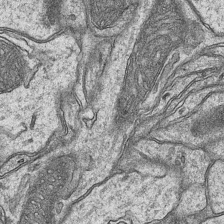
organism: Mouse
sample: CA1 Hippocampus